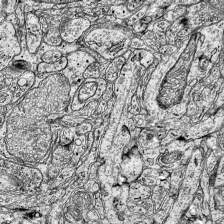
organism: Mouse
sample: Visual Cortex